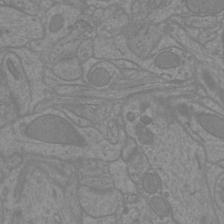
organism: Mouse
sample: Cortical neurons